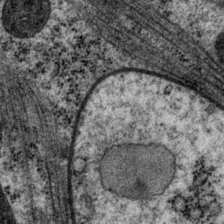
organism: P. pacificus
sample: Pharynx